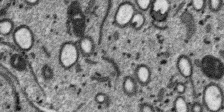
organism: Human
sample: Lung epithelial cells infected with SARS-CoV-2